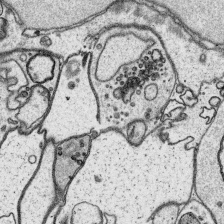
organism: Platynereis dumerilii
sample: Parapodia